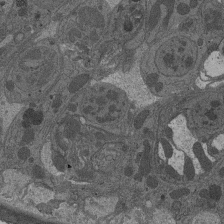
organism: Drosophila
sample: Antenna